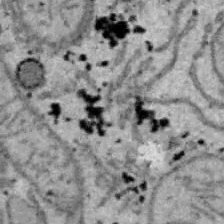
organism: Mouse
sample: Liver from an obese (ob/ob) mouse